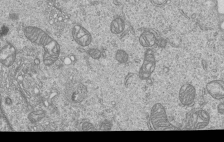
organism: Human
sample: MDA-MB-231 cells